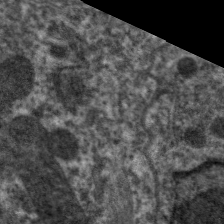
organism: C. elegans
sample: Pharynx